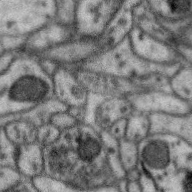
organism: Zebra finch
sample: Brain